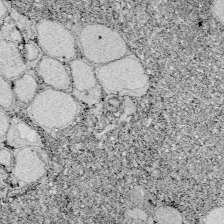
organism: Zebrafish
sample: Whole-Brain